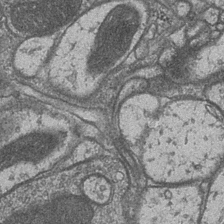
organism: Drosophila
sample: Optic medulla